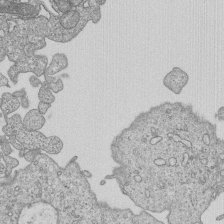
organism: Human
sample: MDA-MB-231 cells